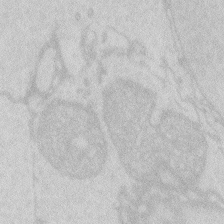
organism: Zebrafish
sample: Macrophage